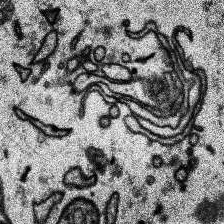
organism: Human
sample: Temporal Lobe